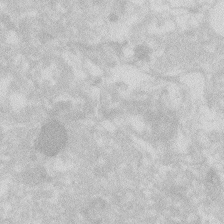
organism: Zebrafish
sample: Macrophage